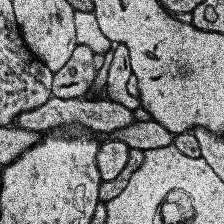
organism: Human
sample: Temporal Lobe